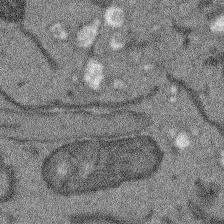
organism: Arabidopsis thaliana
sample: Root tip